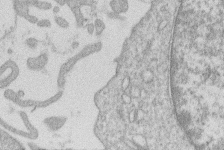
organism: Human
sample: Macrophage cells